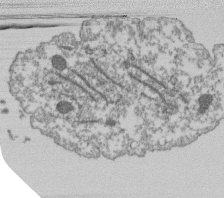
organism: Dictyostelium discoideum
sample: Dictyostelium multivesicular bodies